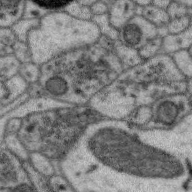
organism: Zebra finch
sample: Brain